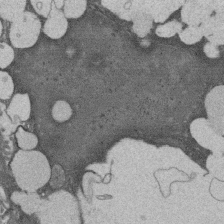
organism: Rat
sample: Salivary granule